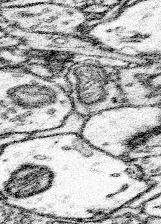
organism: Mouse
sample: Somatosensory cortex neuropil